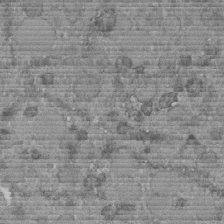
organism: C. elegans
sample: C. elegans embryo early stage